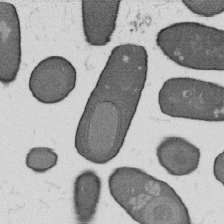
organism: B. subtilis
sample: Bacterial spore